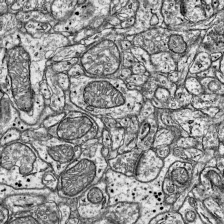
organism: Mouse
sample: Visual Cortex